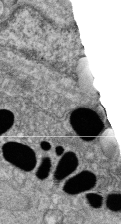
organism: Zebrafish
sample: Cilia; retinal pigment epithelium